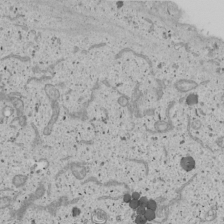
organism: Human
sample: Mitochondria in U2OS cells